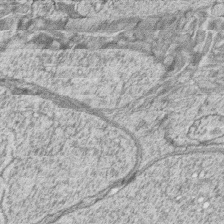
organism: Zebrafish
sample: synaptic ribbons in rod cells and cone cells